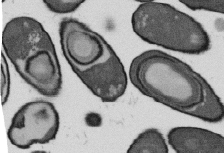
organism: B. subtilis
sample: Bacterial spore